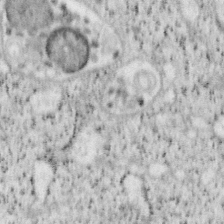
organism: Mouse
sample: OT-I killer T cells with ID8 ovarian cancer cells